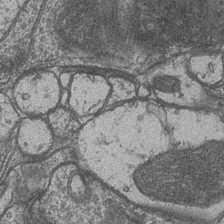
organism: Drosophila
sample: Optic medulla